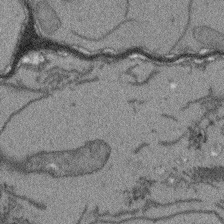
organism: Arabidopsis thaliana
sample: Root tip